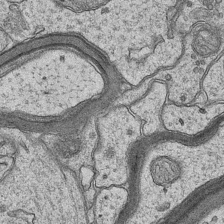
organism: Mouse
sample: CA1 Hippocampus